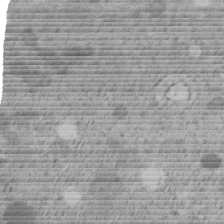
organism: C. elegans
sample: C. elegans embryo early stage